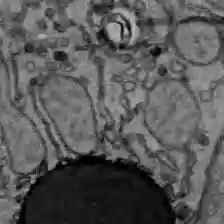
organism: C57BL Mouse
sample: Liver